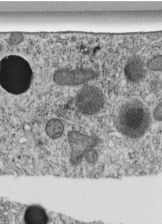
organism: C. elegans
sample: C. elegans embryo early stage